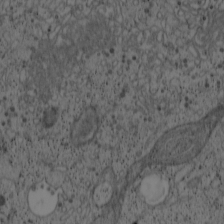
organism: African green monkey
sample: COS-7 cells